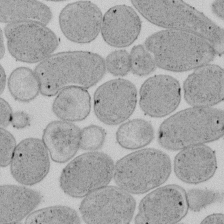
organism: E. coli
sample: Bacterial nucleoid